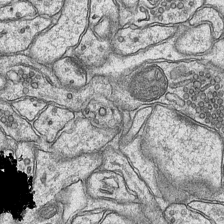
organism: Mouse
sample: CA1 Hippocampus